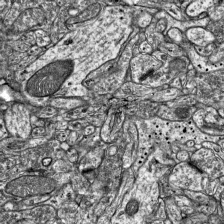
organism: Mouse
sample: Visual Cortex